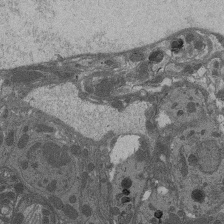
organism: Drosophila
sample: Antenna